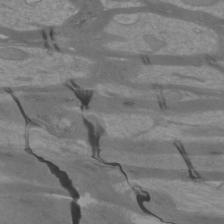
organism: Mouse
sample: Cortical neurons